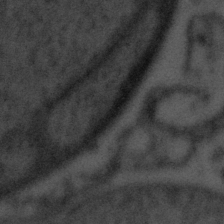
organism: Tuwongella immobilis